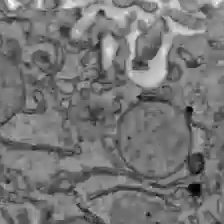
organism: C57BL Mouse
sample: Liver